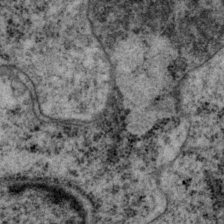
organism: P. pacificus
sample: Pharynx